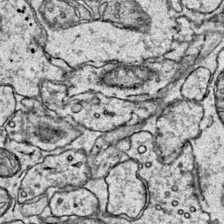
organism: Mouse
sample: Primary visual cortex